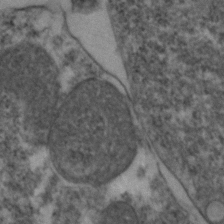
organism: Zebrafish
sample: Zebrafish embryo